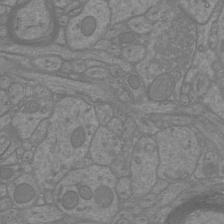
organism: Mouse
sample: Cortical neurons